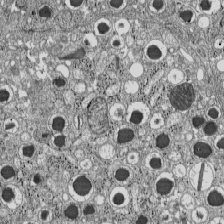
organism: C57BL Mouse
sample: Pancreatic islet